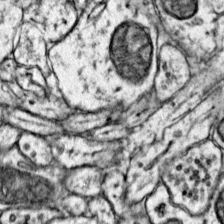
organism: Mouse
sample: Primary visual cortex